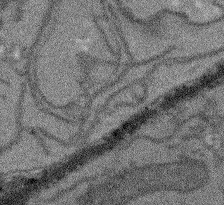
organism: Arabidopsis thaliana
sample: Root tip